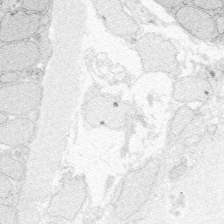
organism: Zebrafish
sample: Whole-Brain